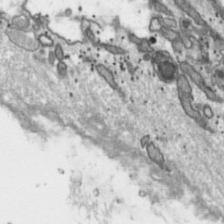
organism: Toxoplasma gondii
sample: Parasites in a vacuole inside a host cell